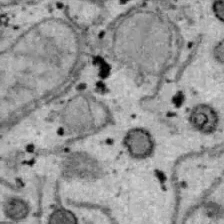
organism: Mouse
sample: Liver from an obese (ob/ob) mouse